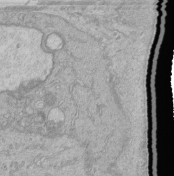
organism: Human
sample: Retinal organoid Rod and Cone cells